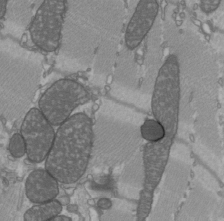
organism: C57BL Mouse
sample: Heart